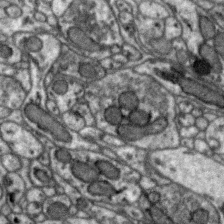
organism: Zebra finch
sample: Brain